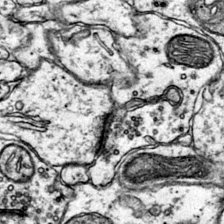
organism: Mouse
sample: Primary visual cortex